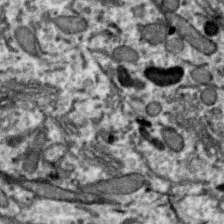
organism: Zebra finch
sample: Brain